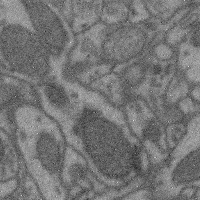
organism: Mouse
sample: Cerebral cortex